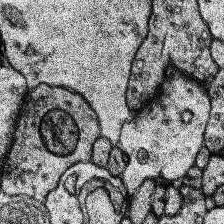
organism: Human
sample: Temporal Lobe